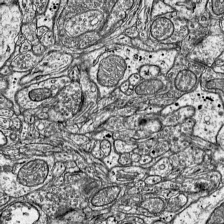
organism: Mouse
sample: Visual Cortex